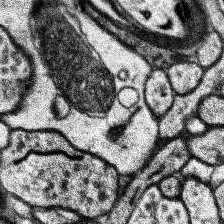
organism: Human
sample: Temporal Lobe